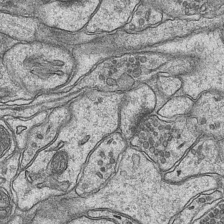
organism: Mouse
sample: CA1 Hippocampus